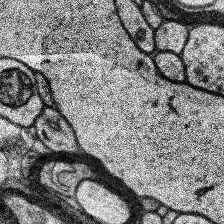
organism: Human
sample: Temporal Lobe